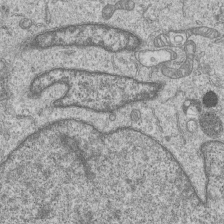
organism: Human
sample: MDA-MB-231 cells